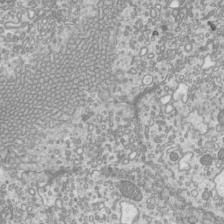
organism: Mouse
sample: Cilia; mouse epididymis